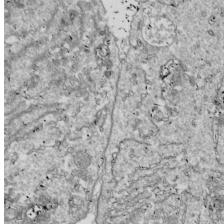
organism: Drosophila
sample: Cell division; meiosis; drosophila spermatocytes